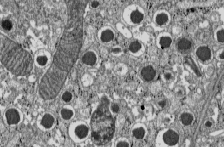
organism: C57BL Mouse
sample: Pancreatic islet